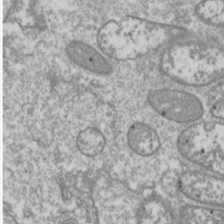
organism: Drosophila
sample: Cell division; meiosis; drosophila spermatocytes